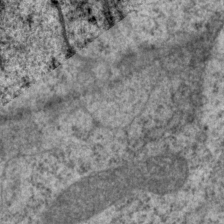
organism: P. pacificus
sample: Pharynx